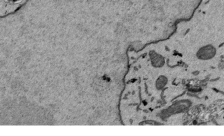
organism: Mouse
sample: ED-1 cell nuclei; centrioles